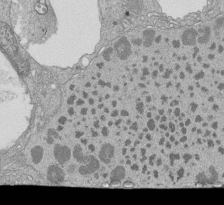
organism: Tetrahymena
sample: Cilia in tetrahymena